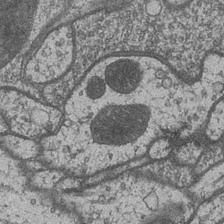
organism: Drosophila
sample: Optic medulla